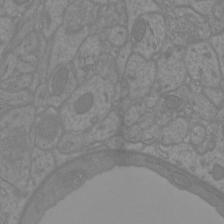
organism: Mouse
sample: Cortical neurons